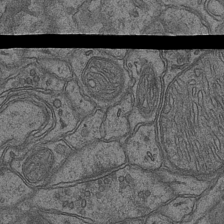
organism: Mouse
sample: CA1 Hippocampus